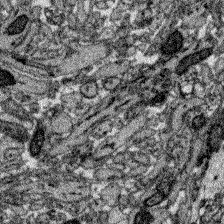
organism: Zebrafish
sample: Larval olfactory bulb